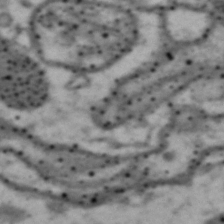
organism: Drosophila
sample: Brain